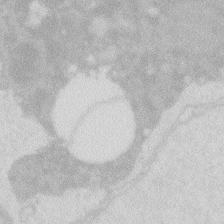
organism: Zebrafish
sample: Macrophage